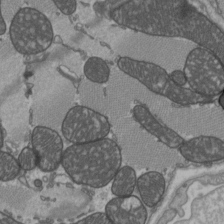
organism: C57BL Mouse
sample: Heart